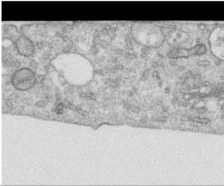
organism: Human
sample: Centriole in RPE cells